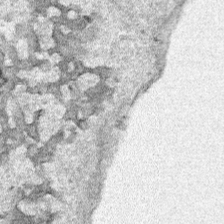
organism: Human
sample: Mitochondria in HCT116 cells